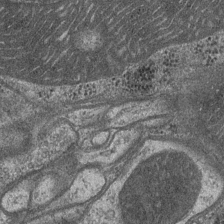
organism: Drosophila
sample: Optic medulla